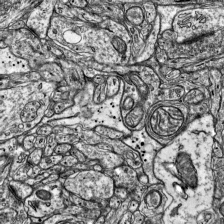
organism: Mouse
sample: Visual Cortex